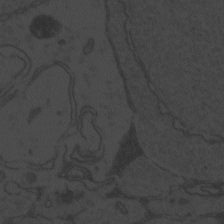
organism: Zebrafish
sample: Macrophage infected with Toxoplasma gondii